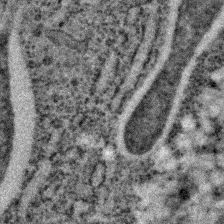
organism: C. elegans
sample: C. elegans embryo